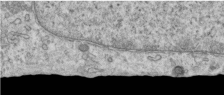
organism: Human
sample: Centriole in RPE cells